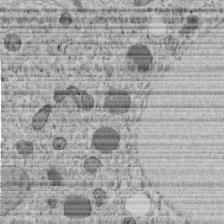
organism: C. elegans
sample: C. elegans embryo early stage